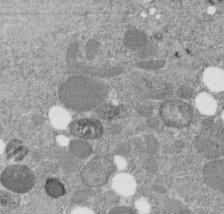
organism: C. elegans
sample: C. elegans embryo early stage